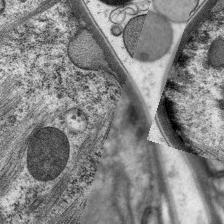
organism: C. elegans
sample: Pharynx